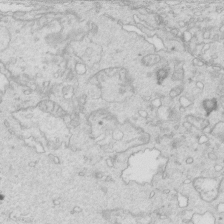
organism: Mouse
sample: Multiciliated cells